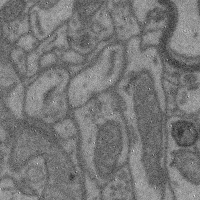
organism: Mouse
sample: Cerebral cortex